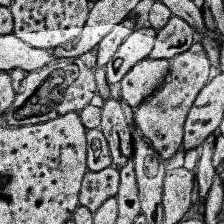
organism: Human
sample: Temporal Lobe